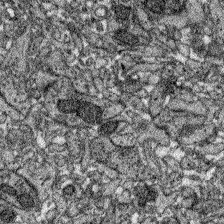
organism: Zebrafish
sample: Larval olfactory bulb